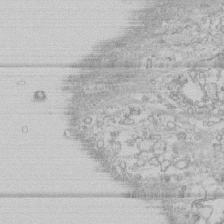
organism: Human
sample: CRL-1474